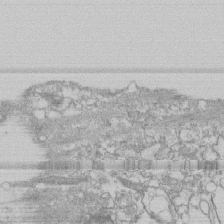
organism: Human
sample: CRL-1474